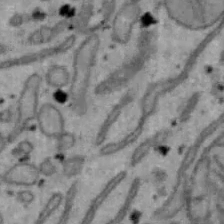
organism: Mouse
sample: Liver